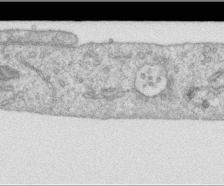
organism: Human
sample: Centriole in RPE cells